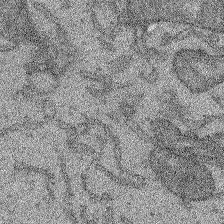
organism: Human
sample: HeLa cells